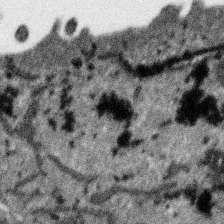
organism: Human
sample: Lung epithelial cells infected with SARS-CoV-2